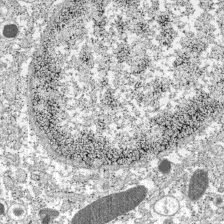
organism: C57BL Mouse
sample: Pancreatic islet